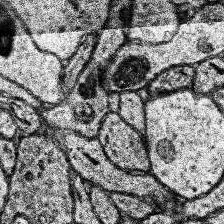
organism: Human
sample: Temporal Lobe